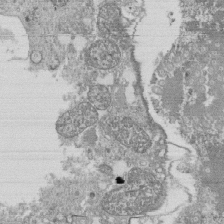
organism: Tetrahymena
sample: Cilia in tetrahymena